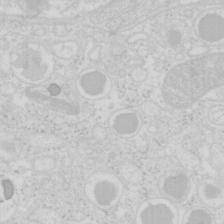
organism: Mouse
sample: Pancreas